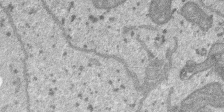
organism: Human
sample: Lung epithelial cells infected with SARS-CoV-2